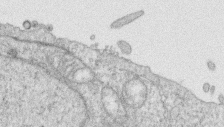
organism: Human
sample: HeLa cell HIV synapse